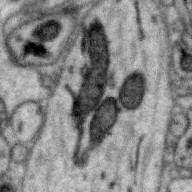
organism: Zebra finch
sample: Brain